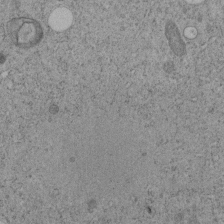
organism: C. elegans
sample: C. elegans embryo early stage